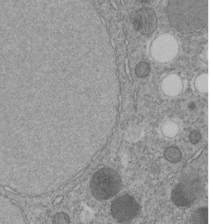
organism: C. elegans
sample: C. elegans embryo early stage